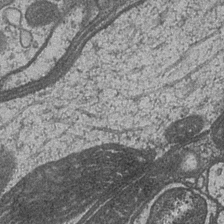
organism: Drosophila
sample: Optic medulla